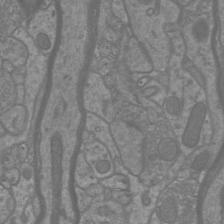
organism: Mouse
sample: Cortical neurons